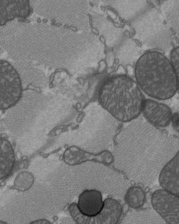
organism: C57BL Mouse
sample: Heart